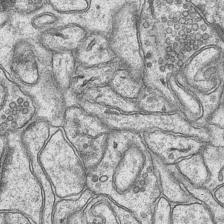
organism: Mouse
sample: CA1 Hippocampus